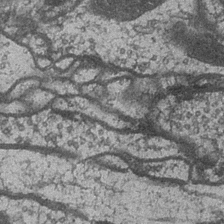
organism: Drosophila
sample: Optic medulla